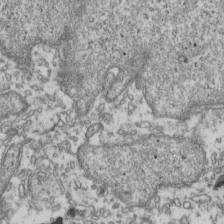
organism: Human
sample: Activated Jurkat CD4+ T cells